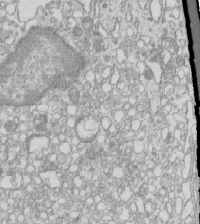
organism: Mouse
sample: Macrophages